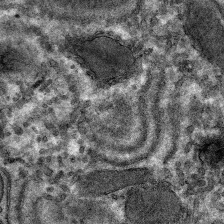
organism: Mouse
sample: Mouse hepatocytes